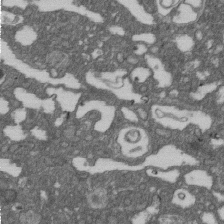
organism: Drosophila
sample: Nephrocyte